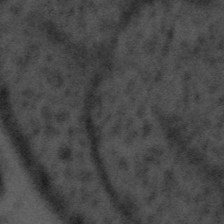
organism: Tuwongella immobilis